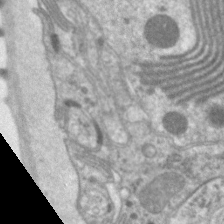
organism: C. elegans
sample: Pharynx